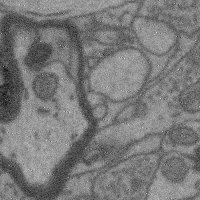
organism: Mouse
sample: Cerebral cortex